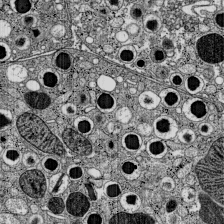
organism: C57BL Mouse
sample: Pancreatic islet